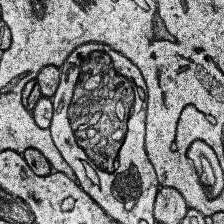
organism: Human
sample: Temporal Lobe